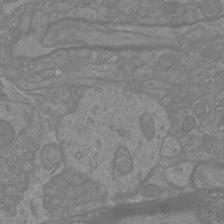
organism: Mouse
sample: Cortical neurons